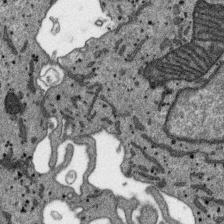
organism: Human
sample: Lung epithelial cells, uninfected (mock) control